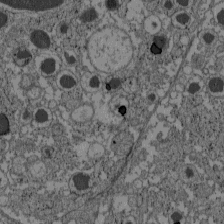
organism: C57BL Mouse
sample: Pancreatic islet